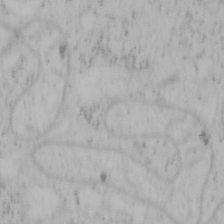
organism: Mouse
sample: OT-I killer T cells with ID8 ovarian cancer cells